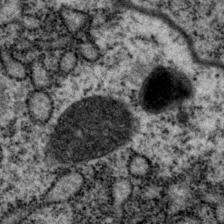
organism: P. pacificus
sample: Pharynx